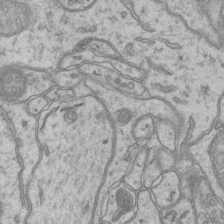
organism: Mouse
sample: CA1 Hippocampus